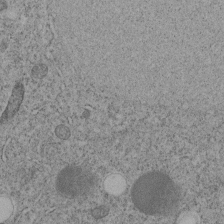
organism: C. elegans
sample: C. elegans embryo early stage